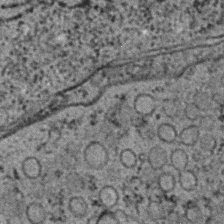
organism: C. elegans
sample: C. elegans embryo